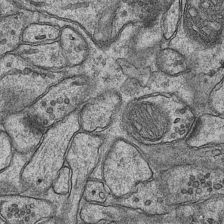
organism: Mouse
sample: CA1 Hippocampus